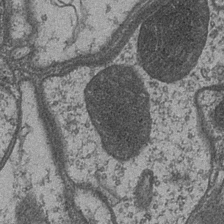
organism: Drosophila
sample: Optic medulla